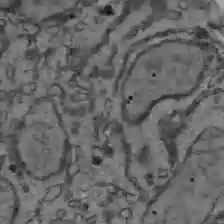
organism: C57BL Mouse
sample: Liver